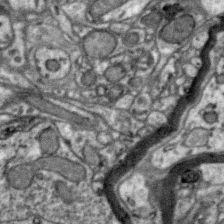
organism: Zebra finch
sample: Brain